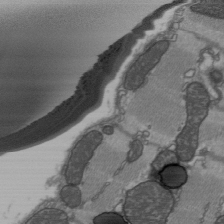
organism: C57BL Mouse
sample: Heart